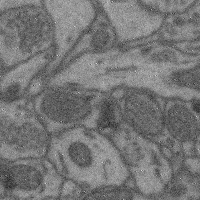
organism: Mouse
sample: Cerebral cortex